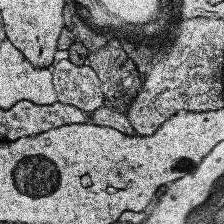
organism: Human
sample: Temporal Lobe